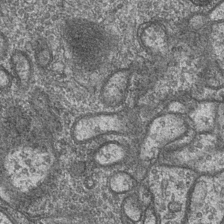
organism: Drosophila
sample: Optic medulla